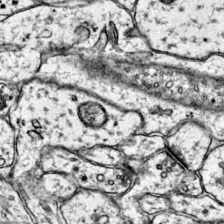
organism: Mouse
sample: Primary visual cortex